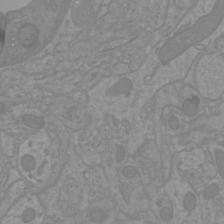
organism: Mouse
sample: Cortical neurons